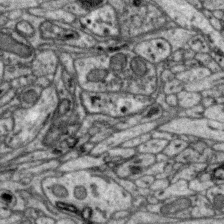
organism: Zebra finch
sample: Brain